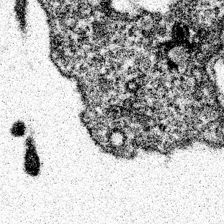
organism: Spongilla lacustris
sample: Neuroid cell